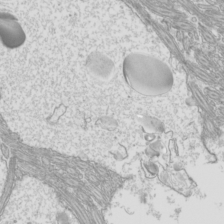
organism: Mouse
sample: Cilia; mouse epididymis